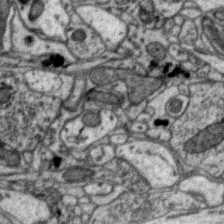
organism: Zebra finch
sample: Brain